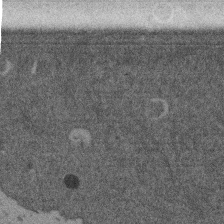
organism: Mouse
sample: Dividing mouse embryo 1 cell stage